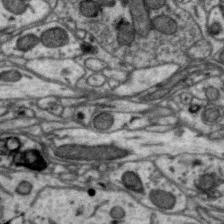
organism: Zebra finch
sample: Brain